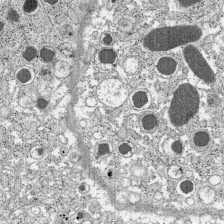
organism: C57BL Mouse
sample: Pancreatic islet